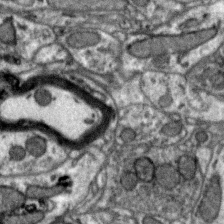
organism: Zebra finch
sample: Brain